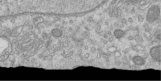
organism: Human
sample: Centriole in RPE cells